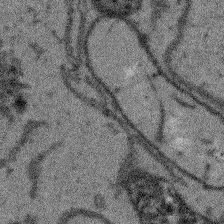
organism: Arabidopsis thaliana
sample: Root tip